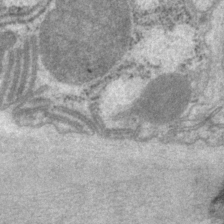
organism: P. pacificus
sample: Pharynx